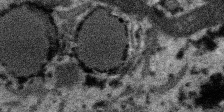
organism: Human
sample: Lung epithelial cells infected with SARS-CoV-2